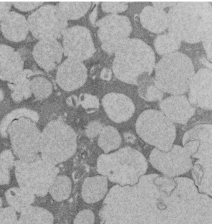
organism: Rat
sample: Salivary granule